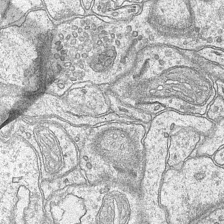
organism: Mouse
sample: CA1 Hippocampus